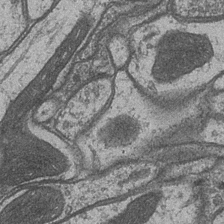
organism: Drosophila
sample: Optic medulla